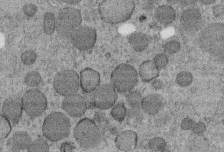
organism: C. elegans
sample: C. elegans embryo early stage